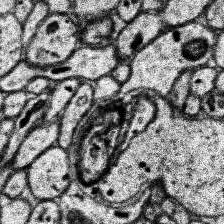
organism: Human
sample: Temporal Lobe